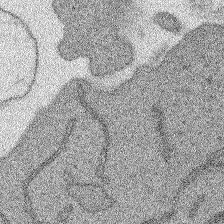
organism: Human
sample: HeLa cells